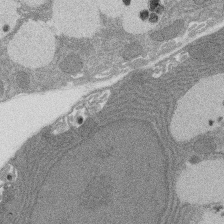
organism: Rat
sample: Salivary granule